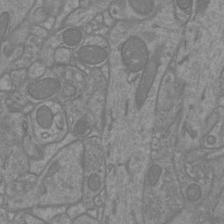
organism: Mouse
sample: Cortical neurons